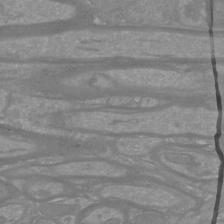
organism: Mouse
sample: Cortical neurons